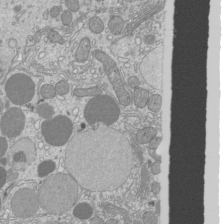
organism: Mouse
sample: Cilia; mouse epididymis